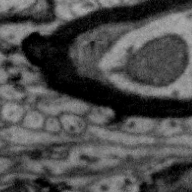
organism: Zebra finch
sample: Brain